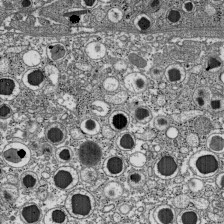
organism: C57BL Mouse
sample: Pancreatic islet